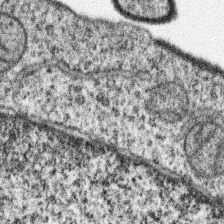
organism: Human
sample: HeLa cells